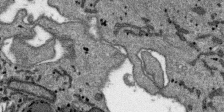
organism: Human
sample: Lung epithelial cells, uninfected (mock) control